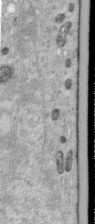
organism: Human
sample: Centriole in RPE cells